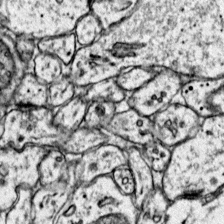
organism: Mouse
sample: Primary visual cortex